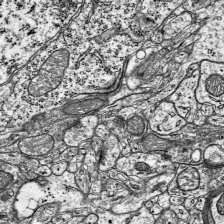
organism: Mouse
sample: Visual Cortex